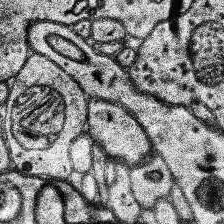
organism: Human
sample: Temporal Lobe